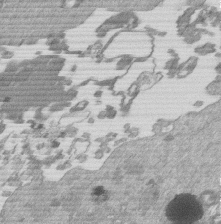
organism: Mouse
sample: Dividing mouse embryo 1 cell stage